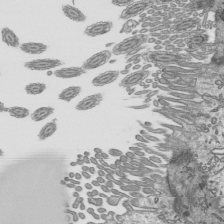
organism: Mouse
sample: Mouse epididymis efferent ductule cilia